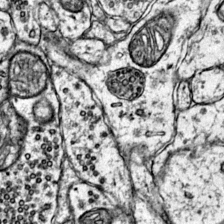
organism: Mouse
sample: Primary visual cortex